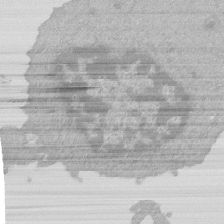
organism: Mouse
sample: Activated Pmel transgenic CD8+ T Cells